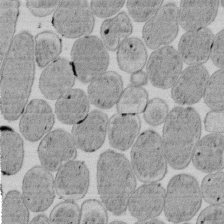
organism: E. coli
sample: Bacterial nucleoid